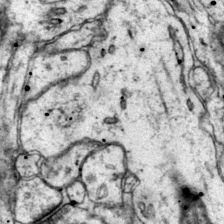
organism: Mouse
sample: Primary visual cortex